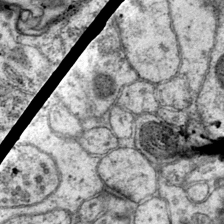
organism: Mouse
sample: Primary visual cortex